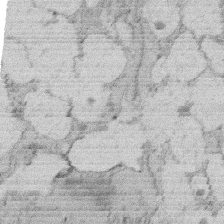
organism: Rat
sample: Salivary granule